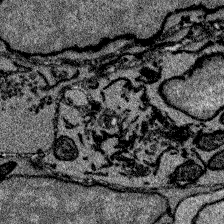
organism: Zebrafish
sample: Larval olfactory bulb